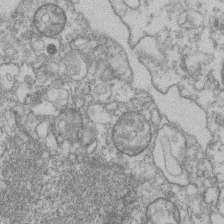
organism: Mouse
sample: T cell stromal cell synapse